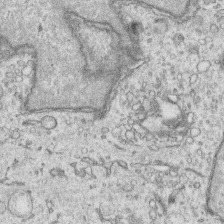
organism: Human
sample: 1205lu cells